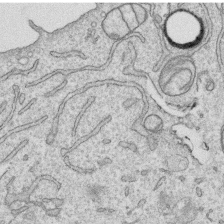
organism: Human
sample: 1205lu cells